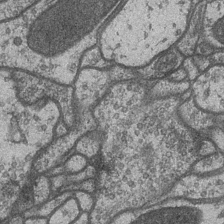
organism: Drosophila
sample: Optic medulla